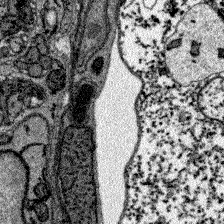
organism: Zebrafish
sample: Larval olfactory bulb